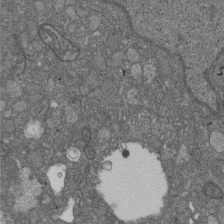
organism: Drosophila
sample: Nephrocyte